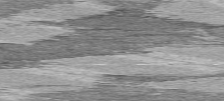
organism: C57BL Mouse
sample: Heart